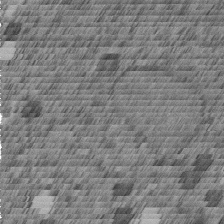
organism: C. elegans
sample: C. elegans embryo early stage